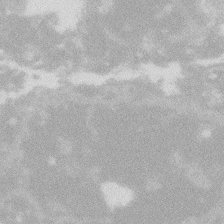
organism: Zebrafish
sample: Macrophage